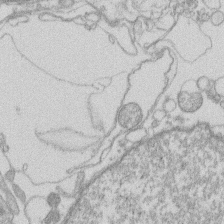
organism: Human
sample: Macrophage cells